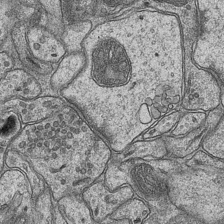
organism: Mouse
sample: CA1 Hippocampus